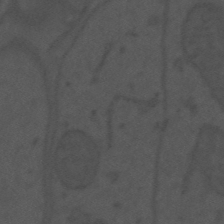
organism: Mouse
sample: Suprachiasmatic nucleus